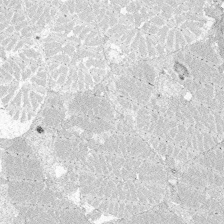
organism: Zebrafish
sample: Whole-Brain